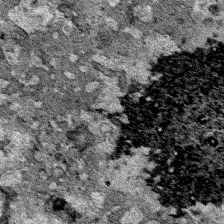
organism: Human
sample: Mitochondria in HCT116 cells